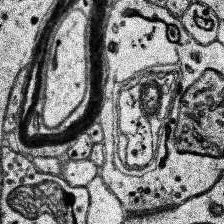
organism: Human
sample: Temporal Lobe